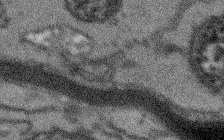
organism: Arabidopsis thaliana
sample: Root tip